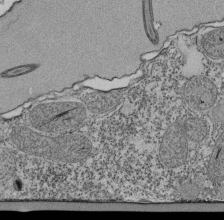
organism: Tetrahymena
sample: Cilia in tetrahymena